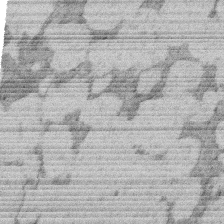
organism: Rat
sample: Salivary granule